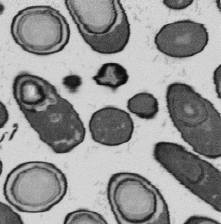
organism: B. subtilis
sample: Bacterial spore